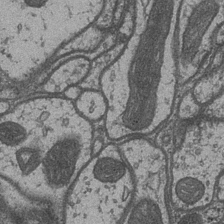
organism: Drosophila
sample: Optic medulla